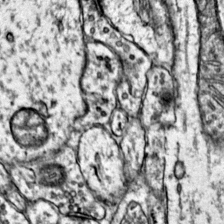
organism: Mouse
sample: Primary visual cortex